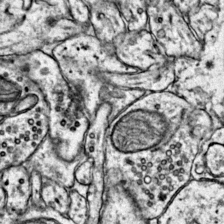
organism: Mouse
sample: Primary visual cortex